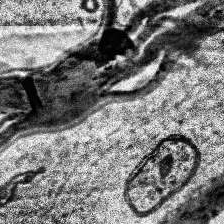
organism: Human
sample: Temporal Lobe